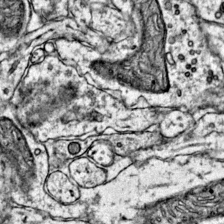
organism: Mouse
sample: Primary visual cortex